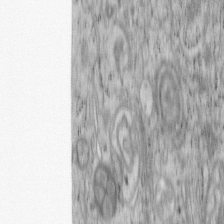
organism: Human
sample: HeLa cells